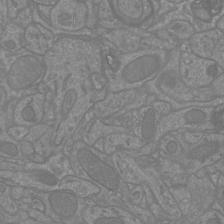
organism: Mouse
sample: Cortical neurons